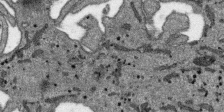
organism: Human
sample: Lung epithelial cells, uninfected (mock) control